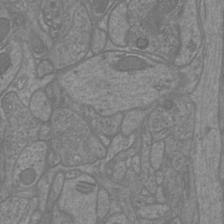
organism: Mouse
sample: Cortical neurons